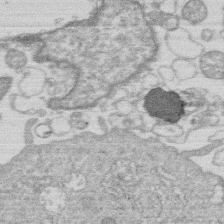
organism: Human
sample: Macrophage cells